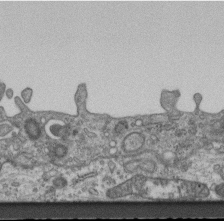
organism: Mouse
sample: Centriole in ependymal cells